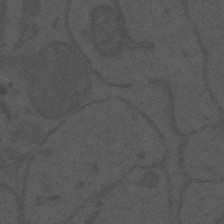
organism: Mouse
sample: Suprachiasmatic nucleus